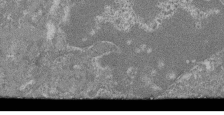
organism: Mouse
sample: Glomerulus